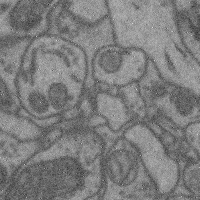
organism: Mouse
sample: Cerebral cortex